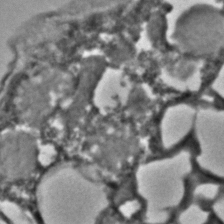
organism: C. elegans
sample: C. elegans embryo